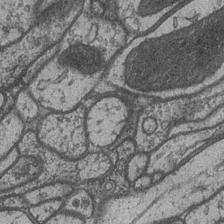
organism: Drosophila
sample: Optic medulla